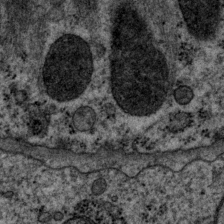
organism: P. pacificus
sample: Pharynx